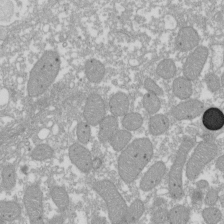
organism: Xenopus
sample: Cilia; centrioles in frog embryo cells